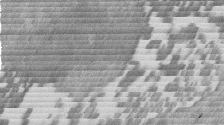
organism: Mouse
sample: Dividing mouse embryo 1 cell stage